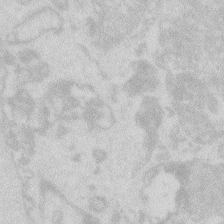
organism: Zebrafish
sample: Macrophage